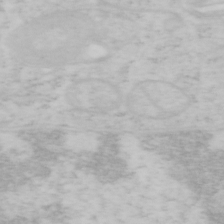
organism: Mouse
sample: OT-I killer T cells with ID8 ovarian cancer cells